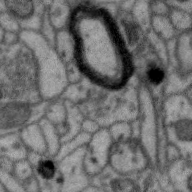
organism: Zebra finch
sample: Brain